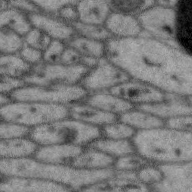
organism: Zebra finch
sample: Brain